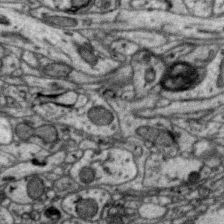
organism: Zebra finch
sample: Brain